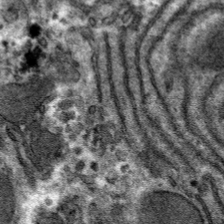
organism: Mouse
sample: Mouse hepatocytes